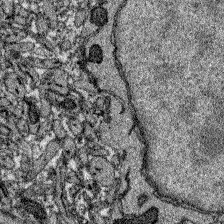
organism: Zebrafish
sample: Larval olfactory bulb